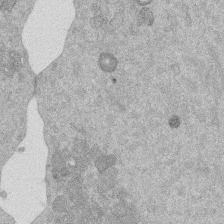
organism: Mouse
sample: Dividing mouse embryo 1 cell stage